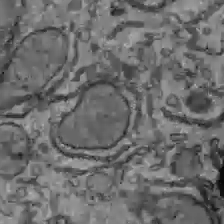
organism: C57BL Mouse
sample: Liver